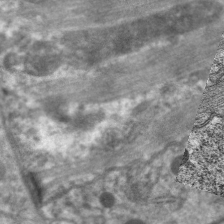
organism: C. elegans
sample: Pharynx